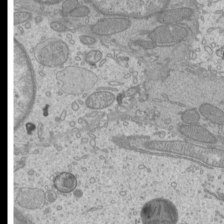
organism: Mouse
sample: Cilia; mouse epididymis